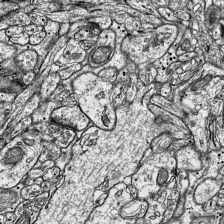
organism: Mouse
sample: Visual Cortex